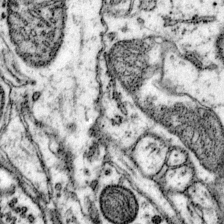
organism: Mouse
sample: Primary visual cortex